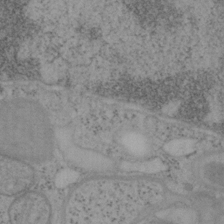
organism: Mouse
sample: OT-I killer T cells with ID8 ovarian cancer cells